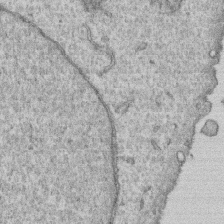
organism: Human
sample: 1205lu cells